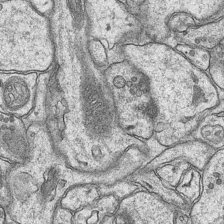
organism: Mouse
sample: CA1 Hippocampus